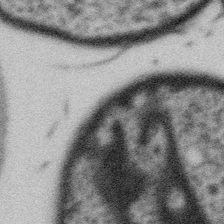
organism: Gemmata obscuriglobus